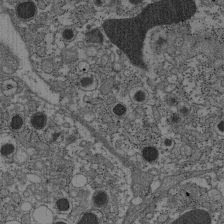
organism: C57BL Mouse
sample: Pancreatic islet